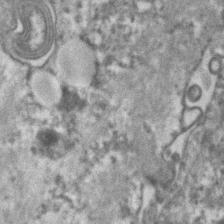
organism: Human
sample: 1205lu cells